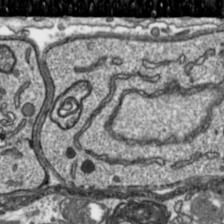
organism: Toxoplasma gondii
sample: Parasites in a vacuole inside a host cell